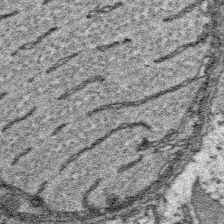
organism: Platynereis dumerilii